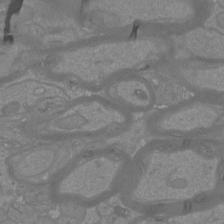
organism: Mouse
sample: Cortical neurons